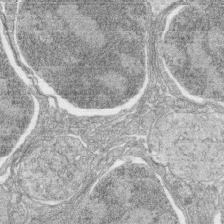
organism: Zebrafish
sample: synaptic ribbons in rod cells and cone cells